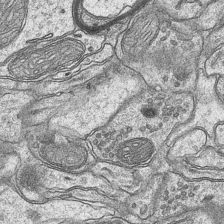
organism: Mouse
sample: CA1 Hippocampus